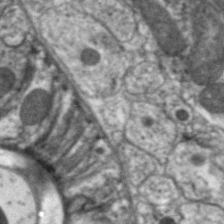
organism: C. elegans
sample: Pharynx